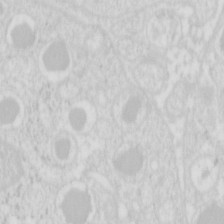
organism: Mouse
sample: Pancreas